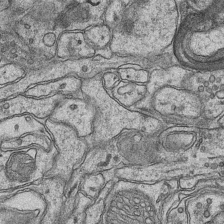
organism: Mouse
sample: CA1 Hippocampus